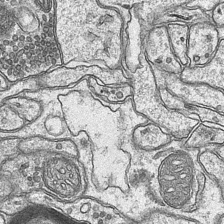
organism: Mouse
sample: CA1 Hippocampus